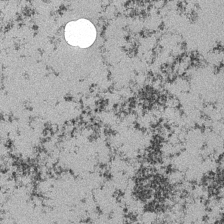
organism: Mouse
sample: CA1 Hippocampus